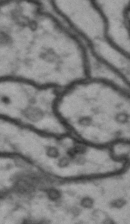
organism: Drosophila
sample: Brain